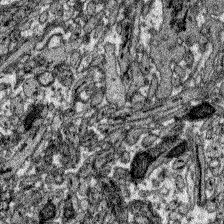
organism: Zebrafish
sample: Larval olfactory bulb